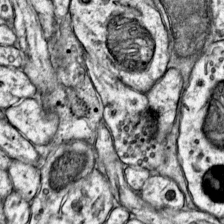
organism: Mouse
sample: Primary visual cortex